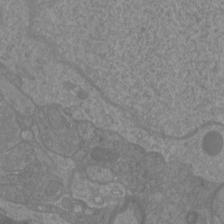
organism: Mouse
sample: Cortical neurons